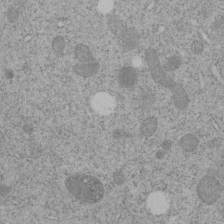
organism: C. elegans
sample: C. elegans embryo early stage